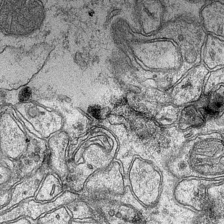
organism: Mouse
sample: CA1 Hippocampus